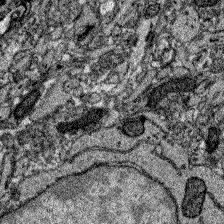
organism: Zebrafish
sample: Larval olfactory bulb